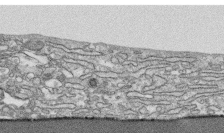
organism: Human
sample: CRL-1474